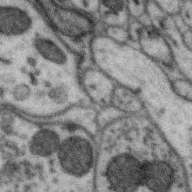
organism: Zebra finch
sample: Brain